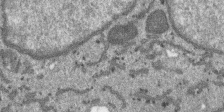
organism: Human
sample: Lung epithelial cells infected with SARS-CoV-2